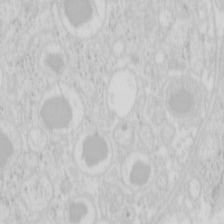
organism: Mouse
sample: Pancreas